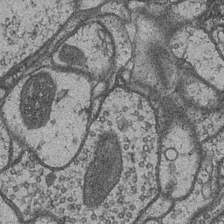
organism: Drosophila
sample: Optic medulla